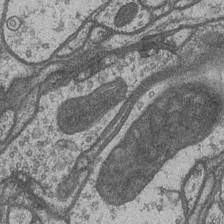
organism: Drosophila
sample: Optic medulla